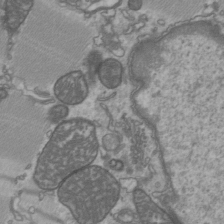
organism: C57BL Mouse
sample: Heart